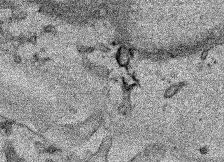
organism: Human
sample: Mitochondria in HCT116 cells